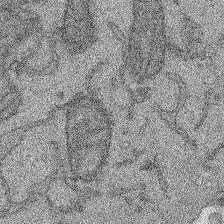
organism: Human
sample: HeLa cells